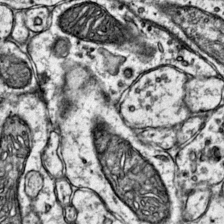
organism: Mouse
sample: Primary visual cortex